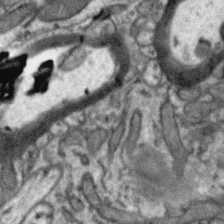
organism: Zebra finch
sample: Brain